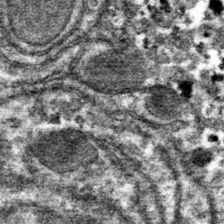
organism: Mouse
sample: Mouse hepatocytes